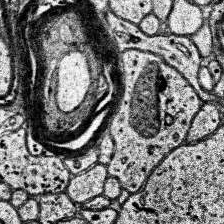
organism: Human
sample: Temporal Lobe